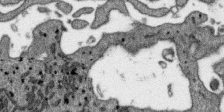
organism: Human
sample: Lung epithelial cells, uninfected (mock) control